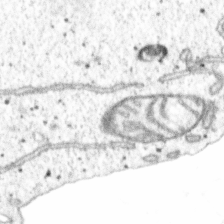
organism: Human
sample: HeLa cells